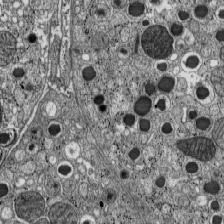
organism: C57BL Mouse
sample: Pancreatic islet